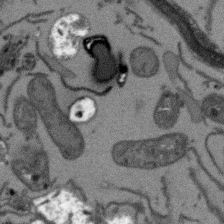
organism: Arabidopsis thaliana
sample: Root tip